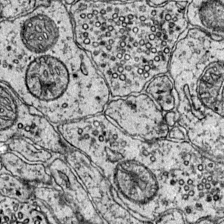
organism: Mouse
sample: Primary visual cortex